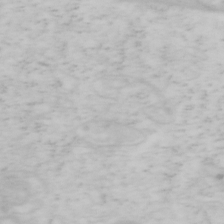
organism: Mouse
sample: OT-I killer T cells with ID8 ovarian cancer cells